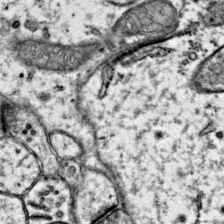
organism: Mouse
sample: Primary visual cortex